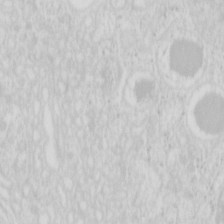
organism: Mouse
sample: Pancreas